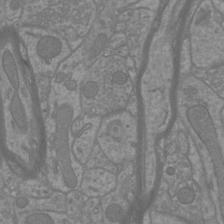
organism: Mouse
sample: Cortical neurons